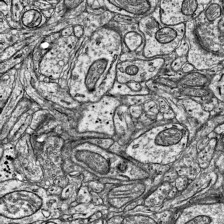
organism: Mouse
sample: Visual Cortex